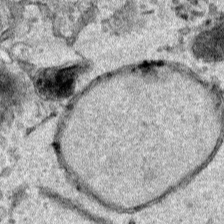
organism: Human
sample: Mitochondria in HCT116 cells